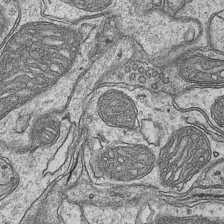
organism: Mouse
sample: CA1 Hippocampus